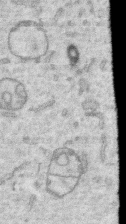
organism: Human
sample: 1205lu cells